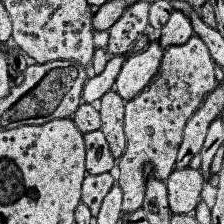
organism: Human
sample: Temporal Lobe